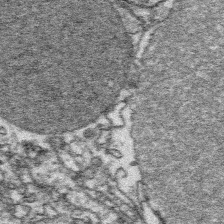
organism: Platynereis dumerilii